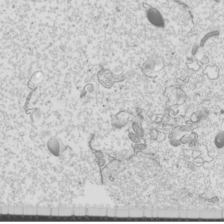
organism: Mouse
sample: Cilia; mouse epididymis